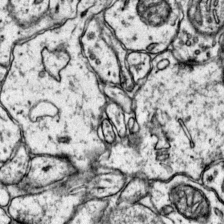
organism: Mouse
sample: Primary visual cortex